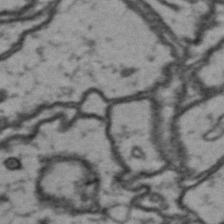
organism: Drosophila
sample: Brain